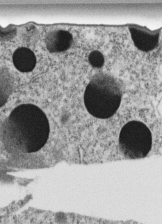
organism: C. elegans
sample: C. elegans embryo early stage